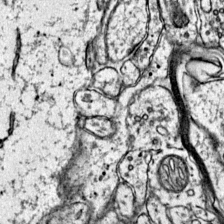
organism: Mouse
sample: Primary visual cortex